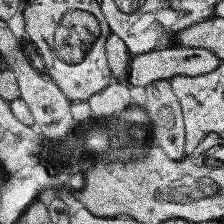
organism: Human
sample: Temporal Lobe